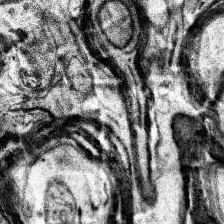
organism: Human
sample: Temporal Lobe